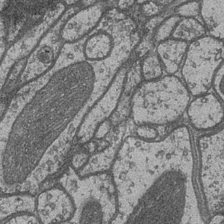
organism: Drosophila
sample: Optic medulla